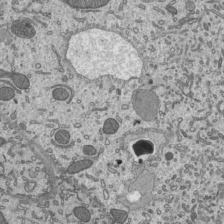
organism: Mouse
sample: Mouse epididymis efferent ductule cilia